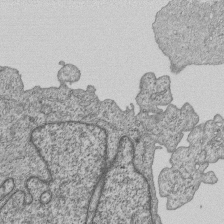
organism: Human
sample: MDA-MB-231 cells